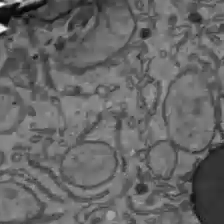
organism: C57BL Mouse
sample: Liver